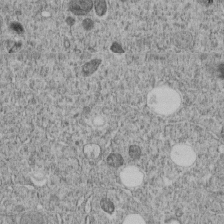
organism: C. elegans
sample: C. elegans embryo early stage